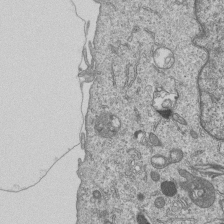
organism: Human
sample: MDA-MB-231 cells